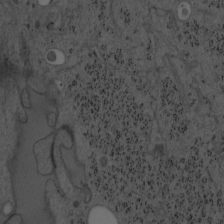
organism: Mouse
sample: OT-I killer T cells with ID8 ovarian cancer cells